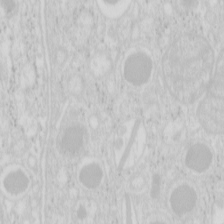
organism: Mouse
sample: Pancreas